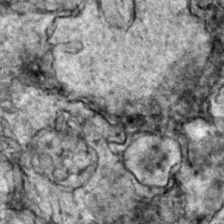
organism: Zebrafish